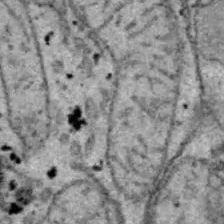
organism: Mouse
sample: Liver from an obese (ob/ob) mouse